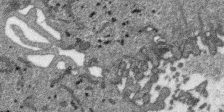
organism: Human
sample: Lung epithelial cells infected with SARS-CoV-2